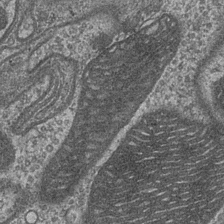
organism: Drosophila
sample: Optic medulla